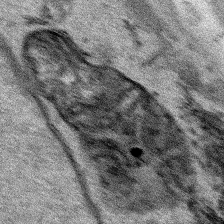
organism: Human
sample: Mitochondria in HCT116 cells